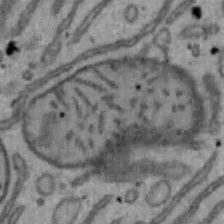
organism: Mouse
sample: Liver